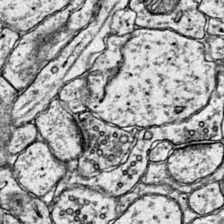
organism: Mouse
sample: Primary visual cortex